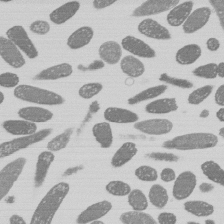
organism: E. coli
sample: Bacterial nucleoid